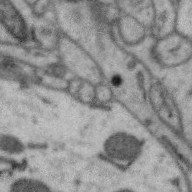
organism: Zebra finch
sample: Brain